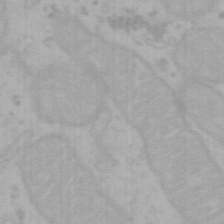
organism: Mouse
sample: Choroid plexus